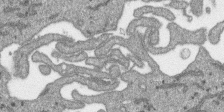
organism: Human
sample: Lung epithelial cells infected with SARS-CoV-2